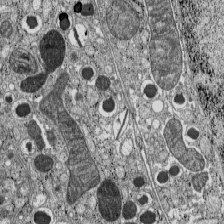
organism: C57BL Mouse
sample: Pancreatic islet